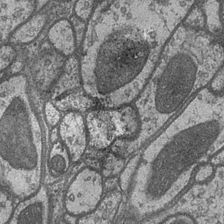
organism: Drosophila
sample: Optic medulla